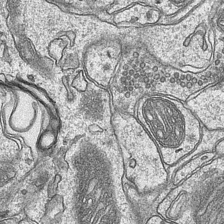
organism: Mouse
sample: CA1 Hippocampus